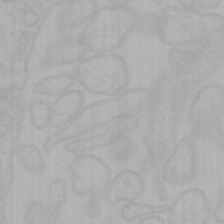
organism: Mouse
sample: Choroid plexus